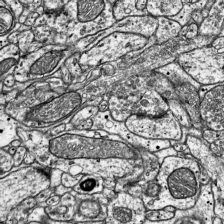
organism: Mouse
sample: Visual Cortex